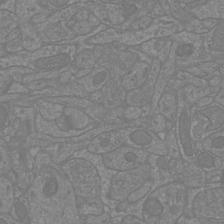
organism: Mouse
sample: Cortical neurons